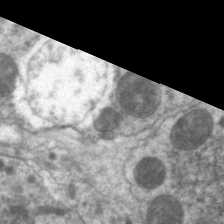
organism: C. elegans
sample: Pharynx